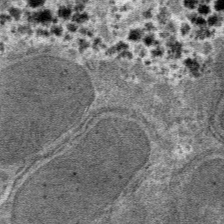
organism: Mouse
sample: Mouse hepatocytes